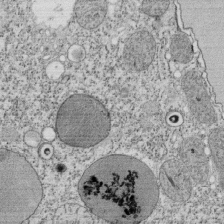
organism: Tetrahymena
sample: Cilia in tetrahymena